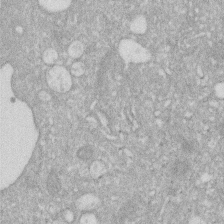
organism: Human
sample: HIV infected U937 cells